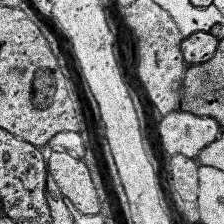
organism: Human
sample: Temporal Lobe